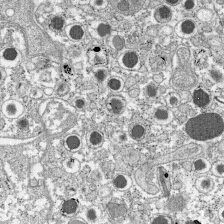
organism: C57BL Mouse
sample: Pancreatic islet